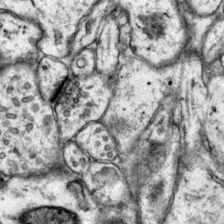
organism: Mouse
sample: Primary visual cortex